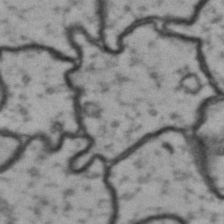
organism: Drosophila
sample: Brain